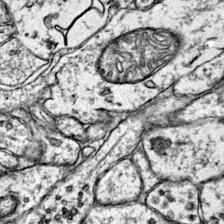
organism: Mouse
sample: Primary visual cortex